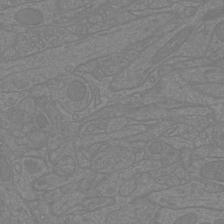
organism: Mouse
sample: Cortical neurons